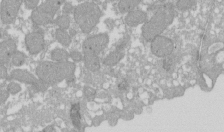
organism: Xenopus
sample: Cilia; centrioles in frog embryo cells